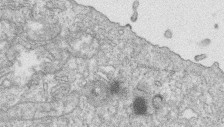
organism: Human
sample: HeLa cell HIV synapse